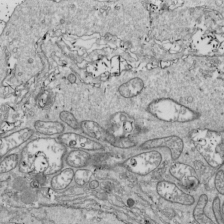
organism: Drosophila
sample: Cell division; meiosis; drosophila spermatocytes